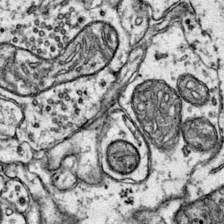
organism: Mouse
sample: Primary visual cortex